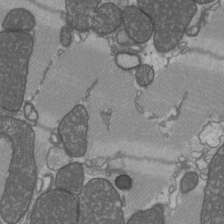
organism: C57BL Mouse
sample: Heart